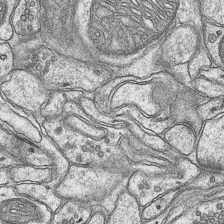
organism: Mouse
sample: CA1 Hippocampus